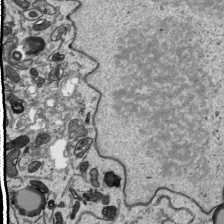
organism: Human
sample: Mitochondria in HCT116 cells